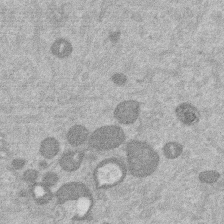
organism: Mouse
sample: Dividing mouse embryo 1 cell stage